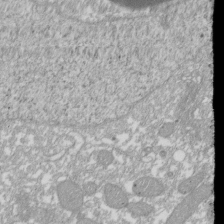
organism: Xenopus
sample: Cilia; centrioles in frog embryo cells